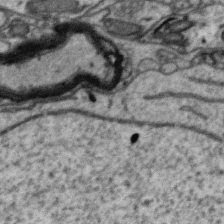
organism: Zebra finch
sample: Brain